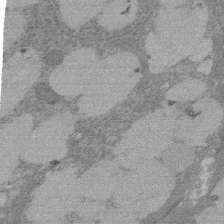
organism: Rat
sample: Salivary granule